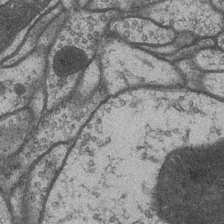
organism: Drosophila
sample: Optic medulla